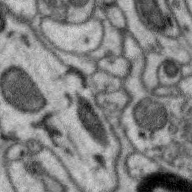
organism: Zebra finch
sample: Brain